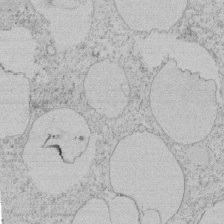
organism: Tetrahymena